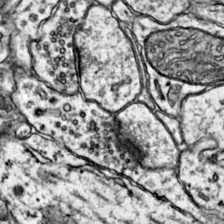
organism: Mouse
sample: Primary visual cortex